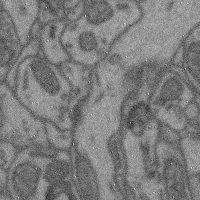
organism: Mouse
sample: Cerebral cortex